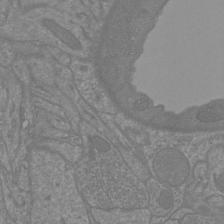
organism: Mouse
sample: Cortical neurons